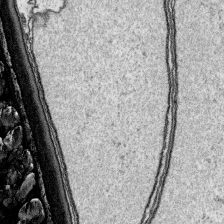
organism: Platynereis dumerilii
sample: Parapodia